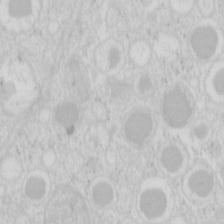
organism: Mouse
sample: Pancreas